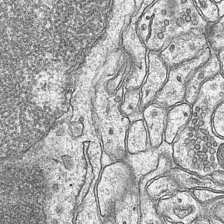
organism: Mouse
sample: CA1 Hippocampus